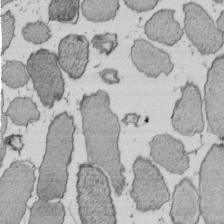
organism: E. coli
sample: Bacterial nucleoid